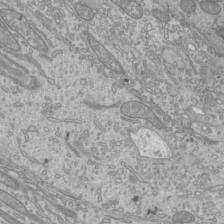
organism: Mouse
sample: Cilia; mouse epididymis